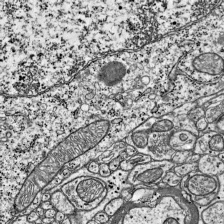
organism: Mouse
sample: Visual Cortex